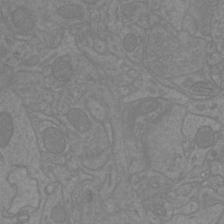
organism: Mouse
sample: Cortical neurons